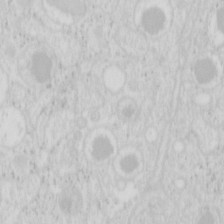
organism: Mouse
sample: Pancreas